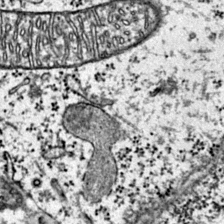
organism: Mouse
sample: Primary visual cortex